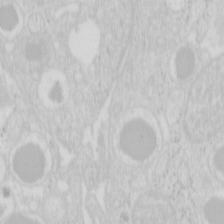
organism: Mouse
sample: Pancreas